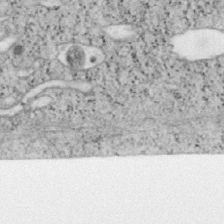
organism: Mouse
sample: OT-I killer T cells with ID8 ovarian cancer cells